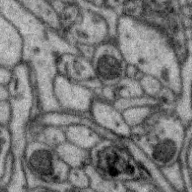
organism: Zebra finch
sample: Brain